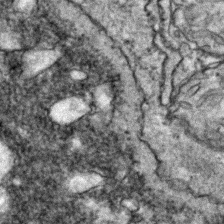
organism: Zebrafish